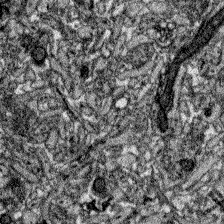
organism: Zebrafish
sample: Larval olfactory bulb